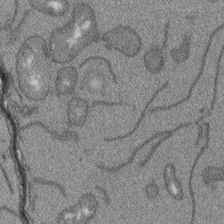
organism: Arabidopsis thaliana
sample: Root tip